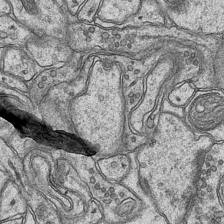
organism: Mouse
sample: CA1 Hippocampus